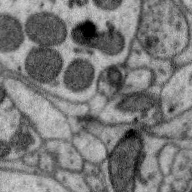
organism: Zebra finch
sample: Brain